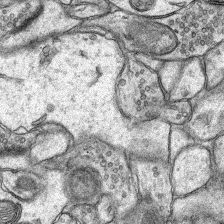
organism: Rat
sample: Hippocampus